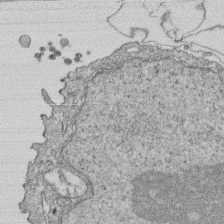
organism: Human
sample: HeLa cell HIV synapse